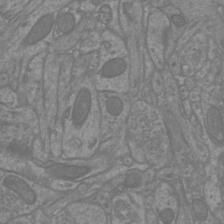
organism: Mouse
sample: Cortical neurons